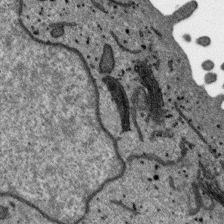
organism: Human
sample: Lung epithelial cells, uninfected (mock) control